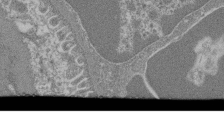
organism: Mouse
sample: Glomerulus